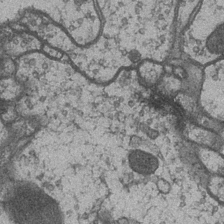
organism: Drosophila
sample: Optic medulla